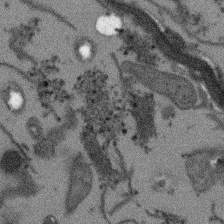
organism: Arabidopsis thaliana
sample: Root tip